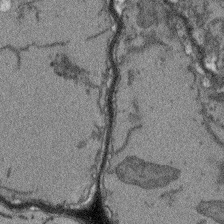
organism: Arabidopsis thaliana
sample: Root tip